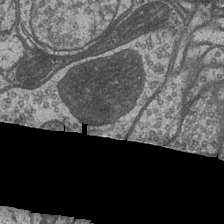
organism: Drosophila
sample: Optic medulla